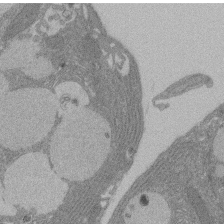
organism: Rat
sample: Salivary granule